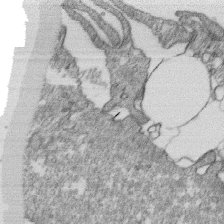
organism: African green monkey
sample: Vero E6 cells infected with SARS-CoV-2